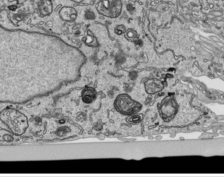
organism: Human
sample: Mitochondria in HCT116 cells